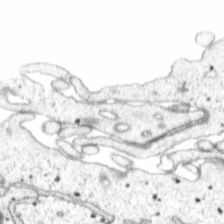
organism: Human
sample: HeLa cells